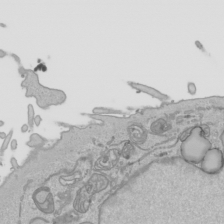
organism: Human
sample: Mitochondria in HCT116 cells